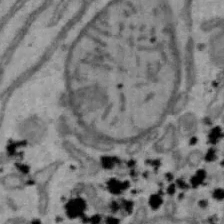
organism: Mouse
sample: Liver